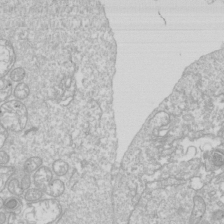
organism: Drosophila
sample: Cell division; meiosis; drosophila spermatocytes